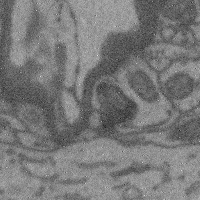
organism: Mouse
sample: Cerebral cortex